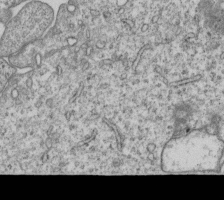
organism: Human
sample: MDA-MB-231 cells